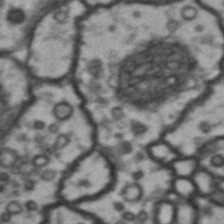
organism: Drosophila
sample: Brain